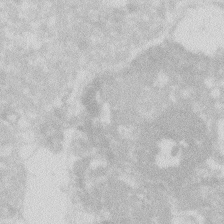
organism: Zebrafish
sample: Macrophage